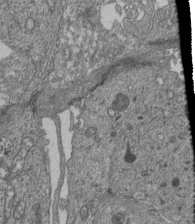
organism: Human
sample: Retinal organoid Rod and Cone cells